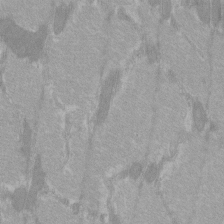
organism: C57BL Mouse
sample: Tibialis anterior muscle cell